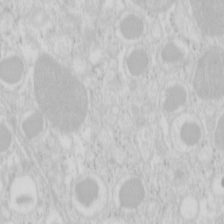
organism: Mouse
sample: Pancreas